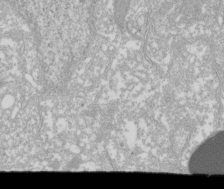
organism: Xenopus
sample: Cilia; centrioles in frog embryo cells